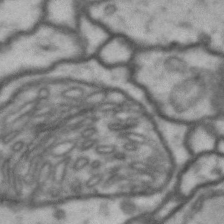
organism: Drosophila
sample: Brain